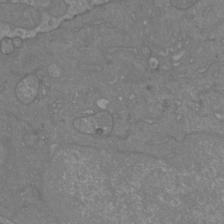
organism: Mouse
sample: Cortical neurons